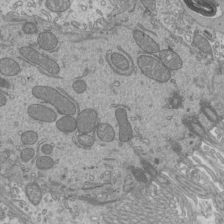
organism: Mouse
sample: Cilia; mouse epididymis